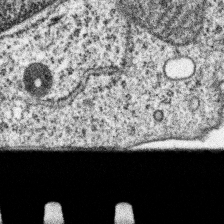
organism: Human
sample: HeLa cells